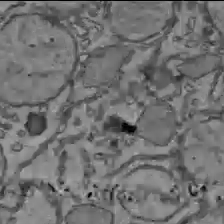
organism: C57BL Mouse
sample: Liver